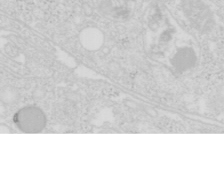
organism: Mouse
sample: Pancreas